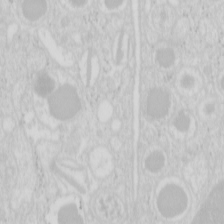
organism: Mouse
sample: Pancreas